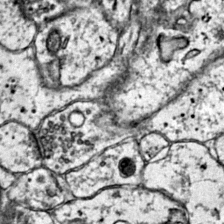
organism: Mouse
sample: Primary visual cortex